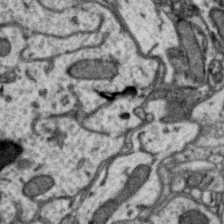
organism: Zebra finch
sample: Brain